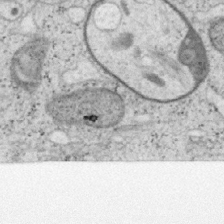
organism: Mouse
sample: OT-I killer T cells with ID8 ovarian cancer cells